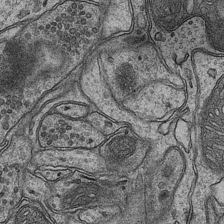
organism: Mouse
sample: CA1 Hippocampus